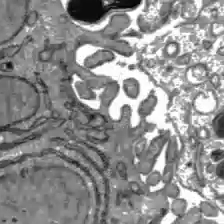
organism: C57BL Mouse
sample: Liver